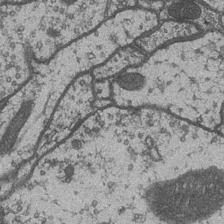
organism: Drosophila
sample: Optic medulla